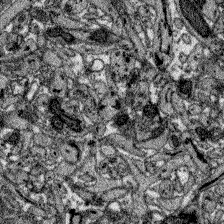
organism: Zebrafish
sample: Larval olfactory bulb